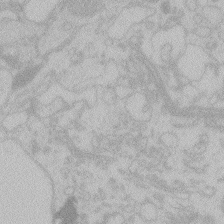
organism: Zebrafish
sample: Macrophage infected with Toxoplasma gondii